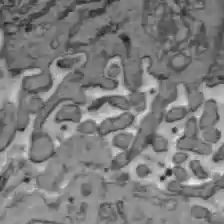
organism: C57BL Mouse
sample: Liver